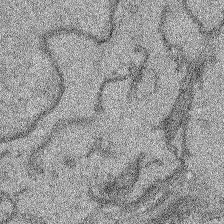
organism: Human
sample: HeLa cells